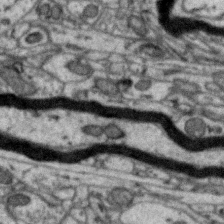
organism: Zebra finch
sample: Brain